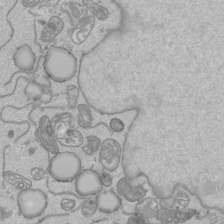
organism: Human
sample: Mitochondria in HCT116 cells